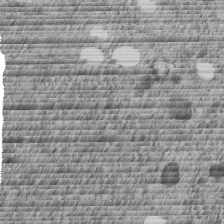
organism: C. elegans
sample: C. elegans embryo early stage